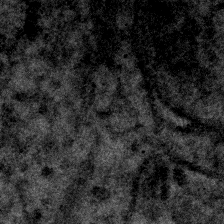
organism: Human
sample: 1205lu cells